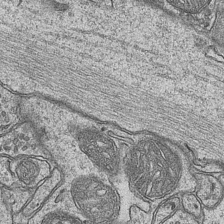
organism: Mouse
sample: CA1 Hippocampus